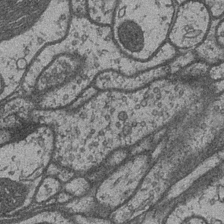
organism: Drosophila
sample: Optic medulla